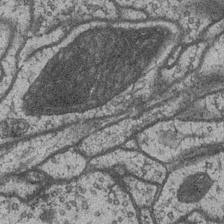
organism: Drosophila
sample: Optic medulla